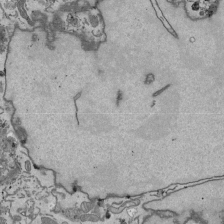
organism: Mouse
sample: ED-1 cell nuclei; centrioles